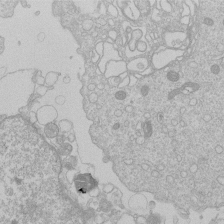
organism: Human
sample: Macrophage cells